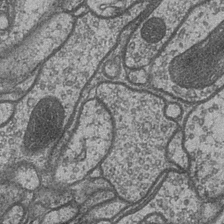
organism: Drosophila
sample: Optic medulla